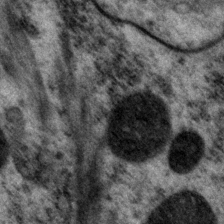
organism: P. pacificus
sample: Pharynx